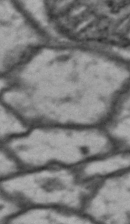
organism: Drosophila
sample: Brain